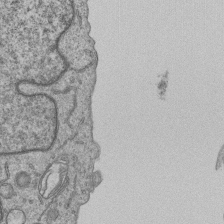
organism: Human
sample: MDA-MB-231 cells